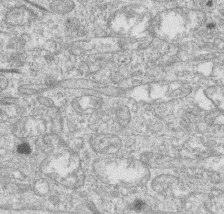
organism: Human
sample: HeLa cell HIV synapse